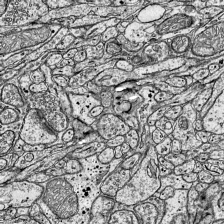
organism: Mouse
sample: Visual Cortex